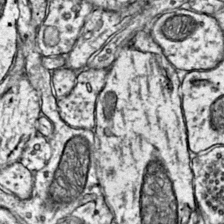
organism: Mouse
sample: Primary visual cortex